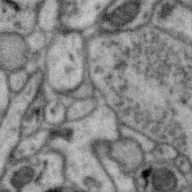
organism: Zebra finch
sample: Brain